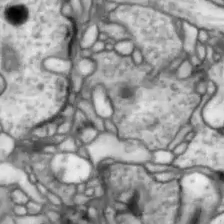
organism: Drosophila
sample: Optic lobe